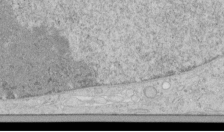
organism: Human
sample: Mitochondria in HCT116 cells